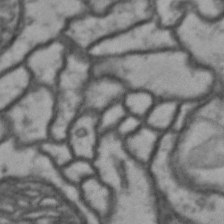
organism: Drosophila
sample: Brain